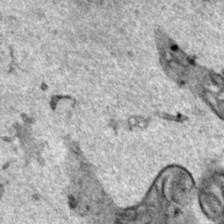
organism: Human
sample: Mitochondria in HCT116 cells